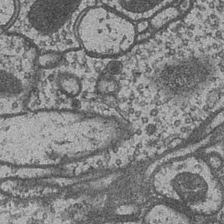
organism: Drosophila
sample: Optic medulla